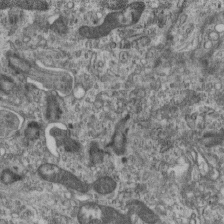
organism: Mouse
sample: Centriole in ependymal cells